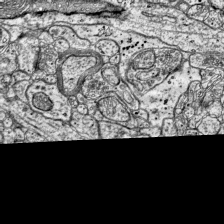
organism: Mouse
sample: Visual Cortex